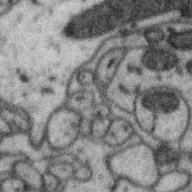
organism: Zebra finch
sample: Brain